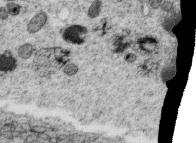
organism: C. elegans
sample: C. elegans oocyte; sperm cells